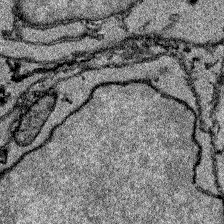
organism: Zebrafish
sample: Larval olfactory bulb